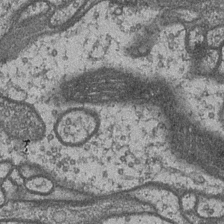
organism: Drosophila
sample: Optic medulla